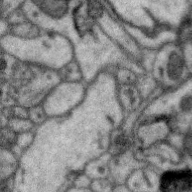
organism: Zebra finch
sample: Brain